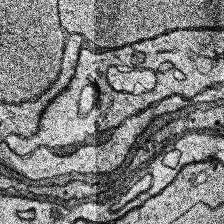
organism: Human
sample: Temporal Lobe